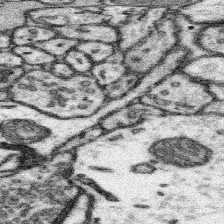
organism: Mouse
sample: Somatosensory cortex neuropil